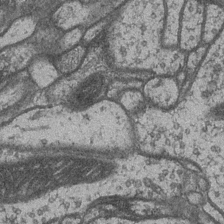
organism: Drosophila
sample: Optic medulla